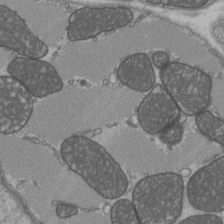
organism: C57BL Mouse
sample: Heart